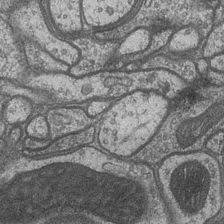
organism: Drosophila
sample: Optic medulla